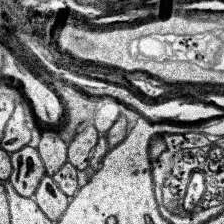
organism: Human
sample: Temporal Lobe